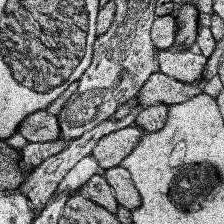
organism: Human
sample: Temporal Lobe